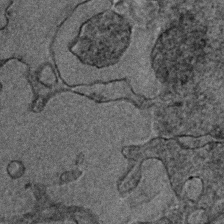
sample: Trachea